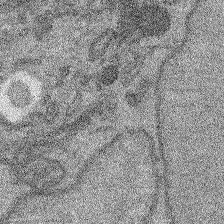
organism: Human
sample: HeLa cells